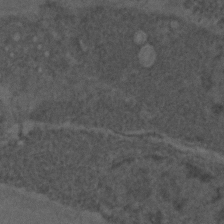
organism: C. elegans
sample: C. elegans embryo